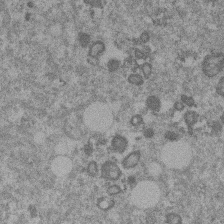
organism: Mouse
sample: Dividing mouse embryo 1 cell stage